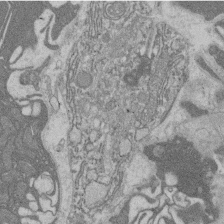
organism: Rat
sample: Salivary granule